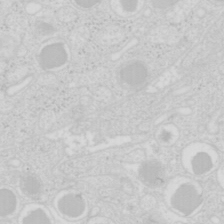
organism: Mouse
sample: Pancreas